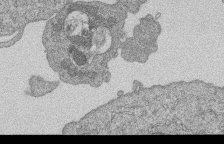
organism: Human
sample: MDA-MB-231 cells